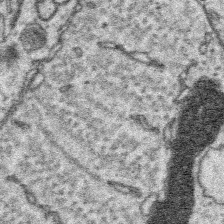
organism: Platynereis dumerilii